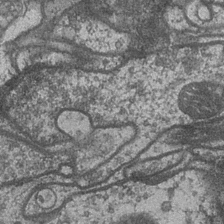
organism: Drosophila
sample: Optic medulla